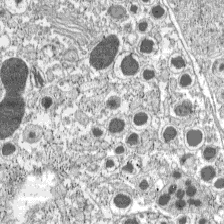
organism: C57BL Mouse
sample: Pancreatic islet